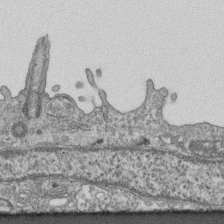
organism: Mouse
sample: Centriole in ependymal cells